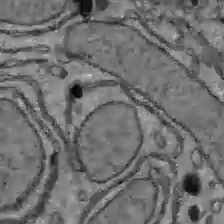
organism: C57BL Mouse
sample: Liver